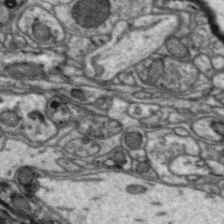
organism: Zebra finch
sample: Brain